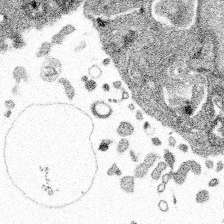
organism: Spongilla lacustris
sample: Multiple